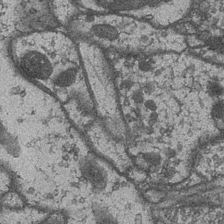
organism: Drosophila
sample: Optic medulla